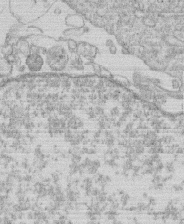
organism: Human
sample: Macrophage cells